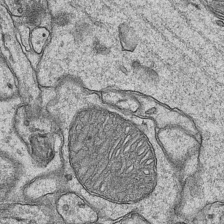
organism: Mouse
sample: CA1 Hippocampus